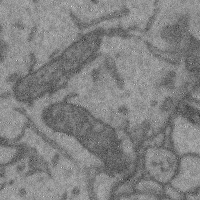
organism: Mouse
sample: Cerebral cortex